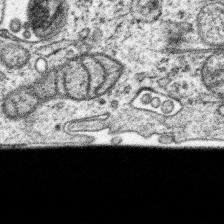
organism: Human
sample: HeLa cells